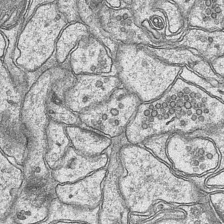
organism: Mouse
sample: CA1 Hippocampus